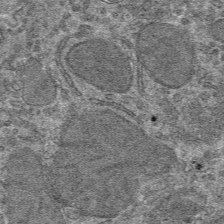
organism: Mouse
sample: Mouse hepatocytes